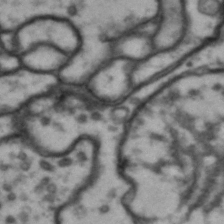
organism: Drosophila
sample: Brain